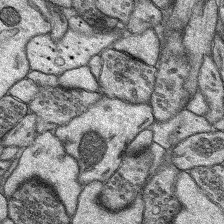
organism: Rat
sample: Hippocampus